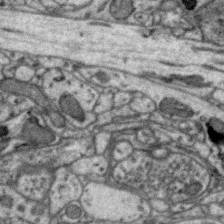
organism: Zebra finch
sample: Brain